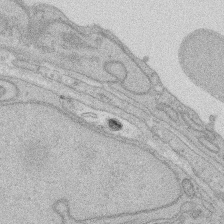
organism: Rat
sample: Salivary granule